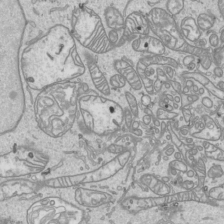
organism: Human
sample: Mitochondria in HCT116 cells